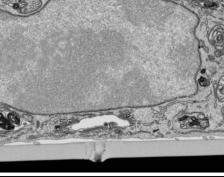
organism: Human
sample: Mitochondria in HCT116 cells